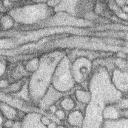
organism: Rabbit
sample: Retina